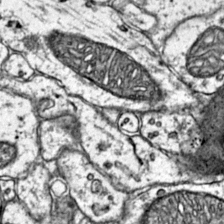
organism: Mouse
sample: Primary visual cortex